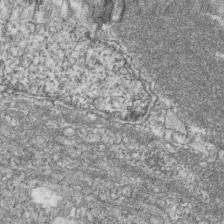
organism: Zebrafish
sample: Cilia; retinal pigment epithelium